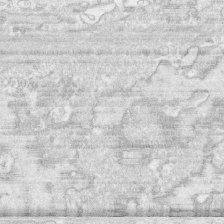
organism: Human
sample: CRL-1474